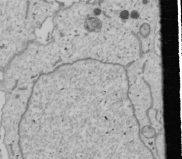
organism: Human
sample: Mitochondria in U2OS cells